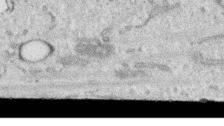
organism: Human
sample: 1205lu cells